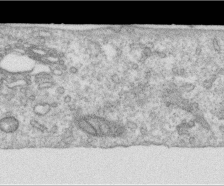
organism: Human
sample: Centriole in RPE cells